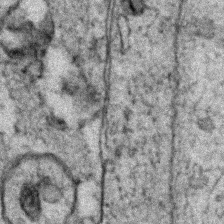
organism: Zebrafish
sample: Zebrafish embryo